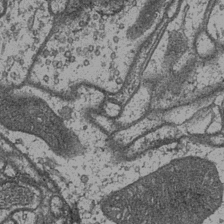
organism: Drosophila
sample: Optic medulla